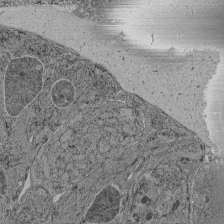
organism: C. elegans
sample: C. elegans pharynx